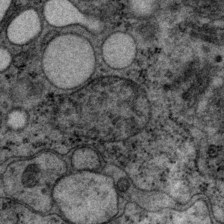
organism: P. pacificus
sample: Pharynx